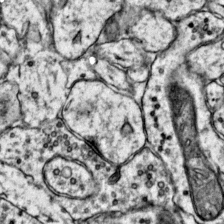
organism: Mouse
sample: Primary visual cortex